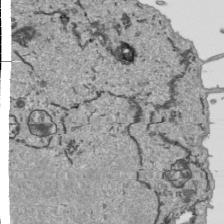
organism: Human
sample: Mitochondria in HCT116 cells